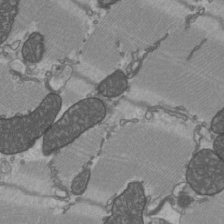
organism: C57BL Mouse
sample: Heart